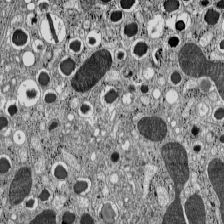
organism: C57BL Mouse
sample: Pancreatic islet